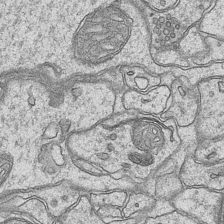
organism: Mouse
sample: CA1 Hippocampus